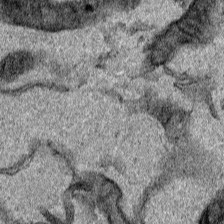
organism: Human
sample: Mitochondria in HCT116 cells